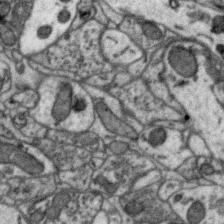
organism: Zebra finch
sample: Brain